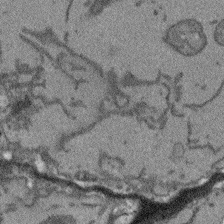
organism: Arabidopsis thaliana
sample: Root tip